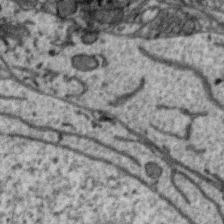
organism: Zebra finch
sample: Brain